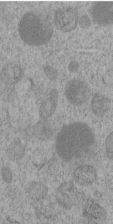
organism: C. elegans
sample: C. elegans embryo early stage